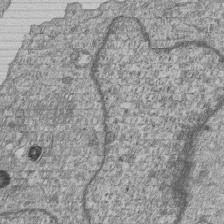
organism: Human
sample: MDA-MB-231 cells